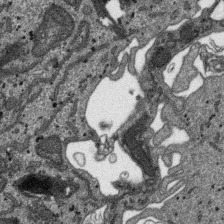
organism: Human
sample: Lung epithelial cells infected with SARS-CoV-2